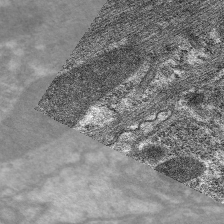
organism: C. elegans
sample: Pharynx